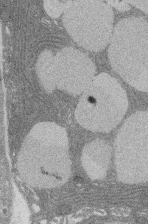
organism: Rat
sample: Salivary granule